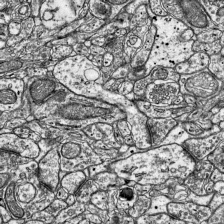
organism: Mouse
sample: Visual Cortex